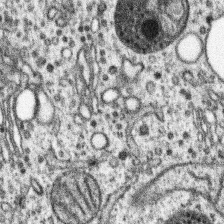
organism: Human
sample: HeLa cells